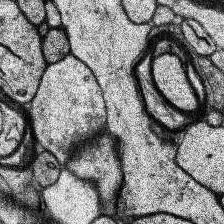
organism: Human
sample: Temporal Lobe